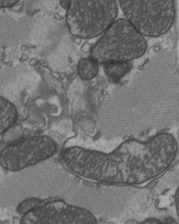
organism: C57BL Mouse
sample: Heart